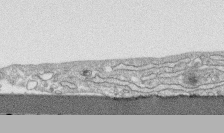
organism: Human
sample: CRL-1474